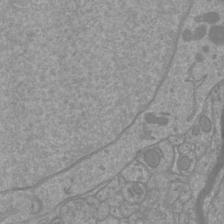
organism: Mouse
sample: Cortical neurons